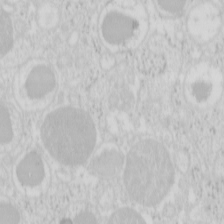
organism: Mouse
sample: Pancreas